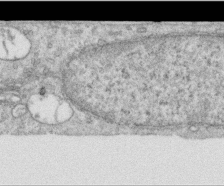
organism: Human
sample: Centriole in RPE cells